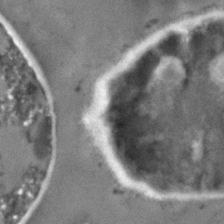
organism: C. elegans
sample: C. elegans embryo